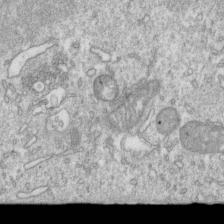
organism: Mouse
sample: Activated OT-1 CD8+ T cells